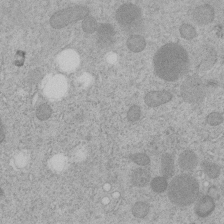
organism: C. elegans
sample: C. elegans embryo early stage